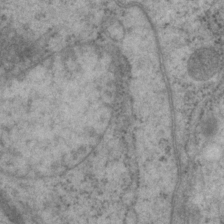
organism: P. pacificus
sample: Pharynx